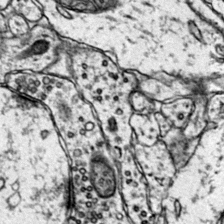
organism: Mouse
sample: Primary visual cortex